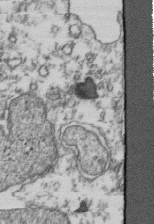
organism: Human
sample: Activated Jurkat CD4+ T cells